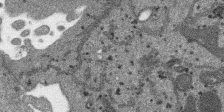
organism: Human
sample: Lung epithelial cells infected with SARS-CoV-2